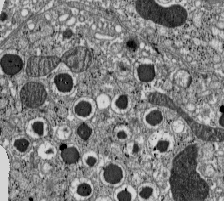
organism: C57BL Mouse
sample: Pancreatic islet